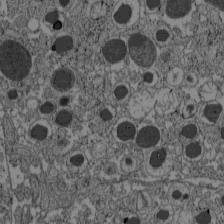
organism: C57BL Mouse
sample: Pancreatic islet